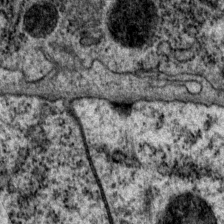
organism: P. pacificus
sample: Pharynx